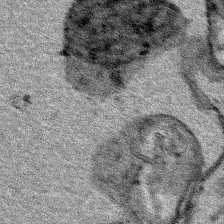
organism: Human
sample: Mitochondria in HCT116 cells